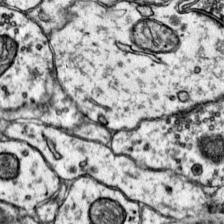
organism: Mouse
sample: Primary visual cortex